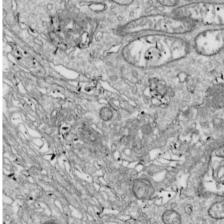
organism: Drosophila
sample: Cell division; meiosis; drosophila spermatocytes